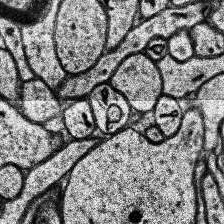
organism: Human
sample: Temporal Lobe